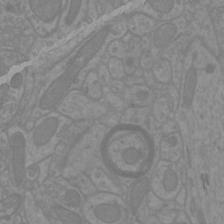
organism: Mouse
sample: Cortical neurons